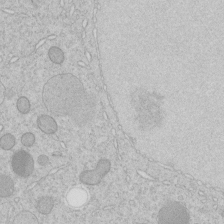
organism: C. elegans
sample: C. elegans embryo early stage